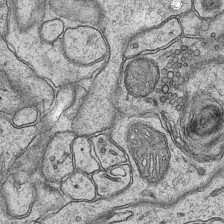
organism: Mouse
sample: CA1 Hippocampus